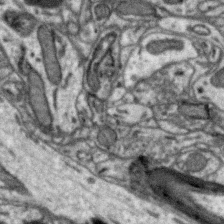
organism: Zebra finch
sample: Brain